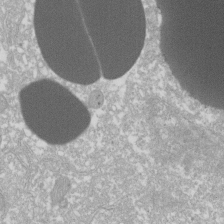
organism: Xenopus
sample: Cilia; centrioles in frog embryo cells